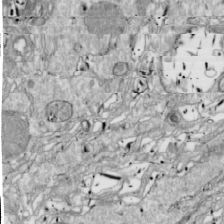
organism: Drosophila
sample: Cell division; meiosis; drosophila spermatocytes